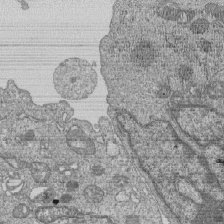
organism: Human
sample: MDA-MB-231 cells